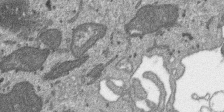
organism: Human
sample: Lung epithelial cells infected with SARS-CoV-2